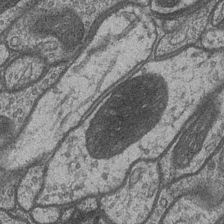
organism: Drosophila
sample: Optic medulla